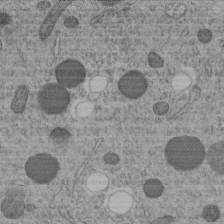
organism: C. elegans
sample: C. elegans embryo early stage